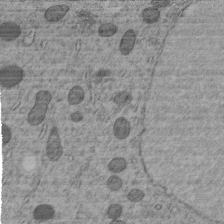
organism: C. elegans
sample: C. elegans embryo early stage